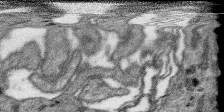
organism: Human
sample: Lung epithelial cells infected with SARS-CoV-2